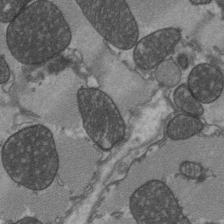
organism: C57BL Mouse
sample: Heart